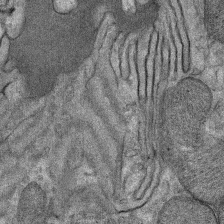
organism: Mouse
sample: Mouse Salivary gland